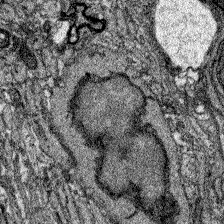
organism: Zebrafish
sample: Larval olfactory bulb